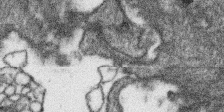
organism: Human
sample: Lung epithelial cells infected with SARS-CoV-2